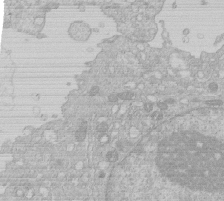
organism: Human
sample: Macrophage cells